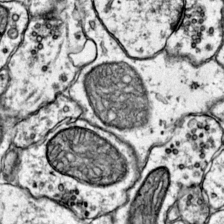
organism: Mouse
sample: Primary visual cortex